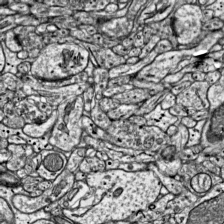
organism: Mouse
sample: Visual Cortex